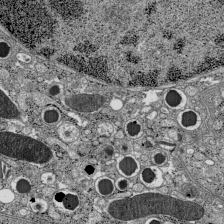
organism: C57BL Mouse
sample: Pancreatic islet